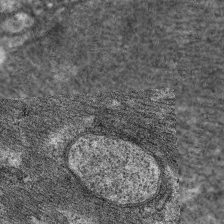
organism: C. elegans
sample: Pharynx